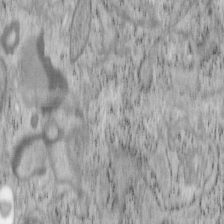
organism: Human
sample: HeLa cells